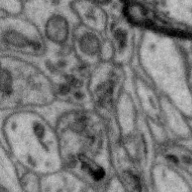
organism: Zebra finch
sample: Brain